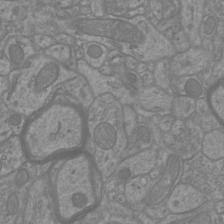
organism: Mouse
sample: Cortical neurons